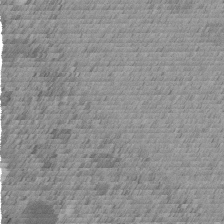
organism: C. elegans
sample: C. elegans embryo early stage